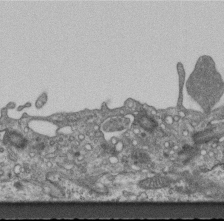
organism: Mouse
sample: Centriole in ependymal cells